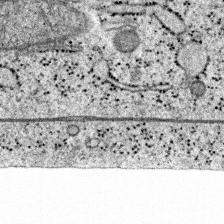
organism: Human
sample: HeLa cells